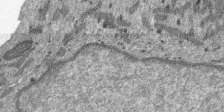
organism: Human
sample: Lung epithelial cells infected with SARS-CoV-2